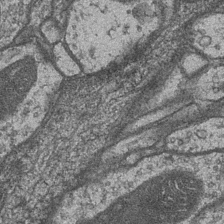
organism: Drosophila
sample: Optic medulla